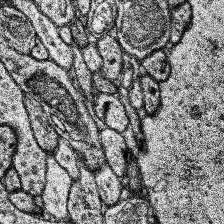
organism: Human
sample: Temporal Lobe